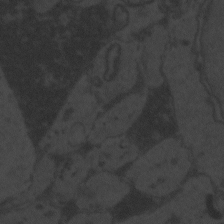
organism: Zebrafish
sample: Macrophage infected with Toxoplasma gondii